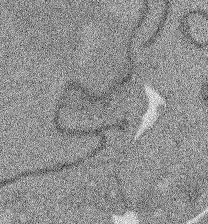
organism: Human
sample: HeLa cells